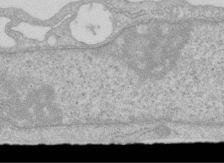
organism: Human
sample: Centriole in RPE cells